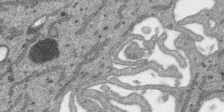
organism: Human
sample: Lung epithelial cells infected with SARS-CoV-2